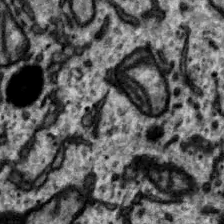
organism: Human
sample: HeLa cells